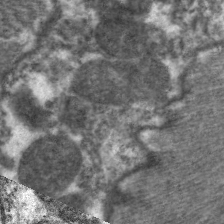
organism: C. elegans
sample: Pharynx